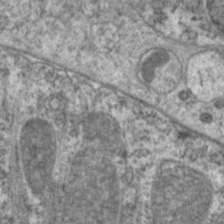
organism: C. elegans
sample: Pharynx